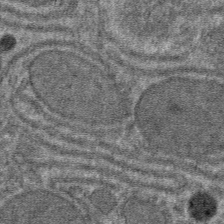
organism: Mouse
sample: Mouse hepatocytes